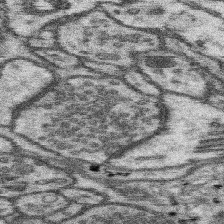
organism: Mouse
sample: Somatosensory cortex neuropil